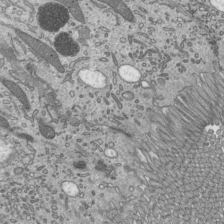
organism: Mouse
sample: Mouse epididymis efferent ductule cilia